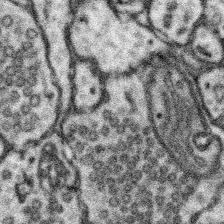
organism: Mouse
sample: Somatosensory cortex neuropil